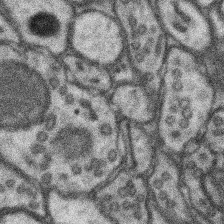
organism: Mouse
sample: Somatosensory cortex neuropil